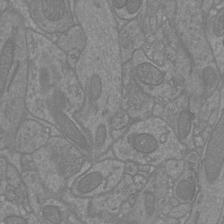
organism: Mouse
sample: Cortical neurons